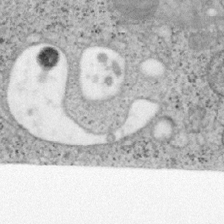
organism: Mouse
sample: OT-I killer T cells with ID8 ovarian cancer cells